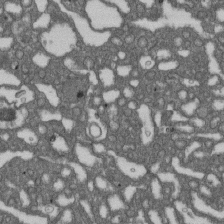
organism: Drosophila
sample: Nephrocyte